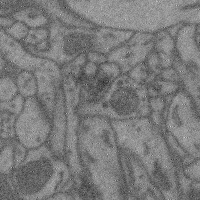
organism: Mouse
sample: Cerebral cortex